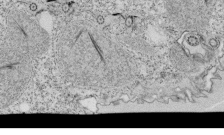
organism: Tetrahymena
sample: Cilia in tetrahymena